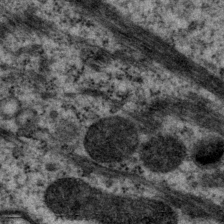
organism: P. pacificus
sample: Pharynx